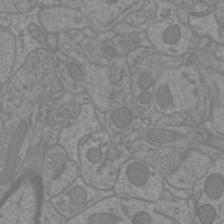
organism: Mouse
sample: Cortical neurons